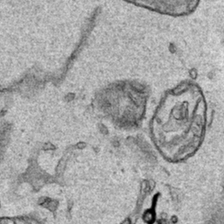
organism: Human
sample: Mitochondria in HCT116 cells